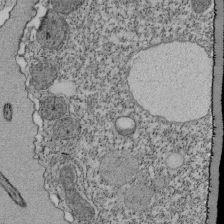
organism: Tetrahymena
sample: Cilia in tetrahymena